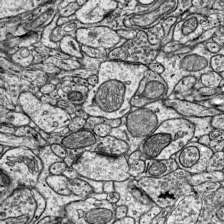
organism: Mouse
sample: Visual Cortex